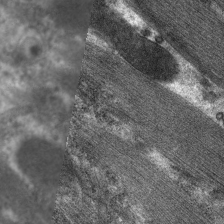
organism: C. elegans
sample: Pharynx